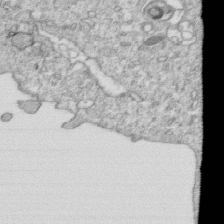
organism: Mouse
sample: Activated OT-1 CD8+ T cells